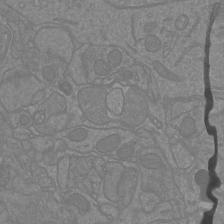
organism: Mouse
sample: Cortical neurons